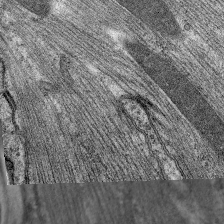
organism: C. elegans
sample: Pharynx